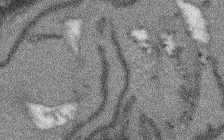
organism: Arabidopsis thaliana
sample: Root tip